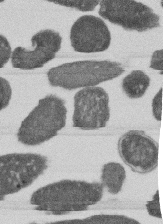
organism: E. coli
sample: Bacterial nucleoid